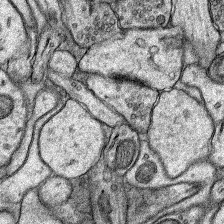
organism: Rat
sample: Hippocampus